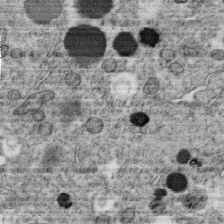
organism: C. elegans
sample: C. elegans oocyte; sperm cells